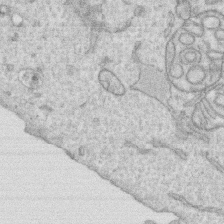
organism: Human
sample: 1205lu cells